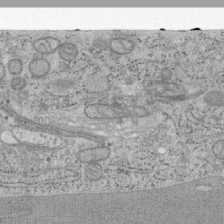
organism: Human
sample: HeLa cells